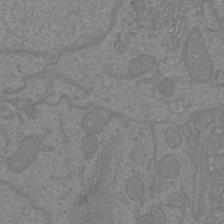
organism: Mouse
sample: Cortical neurons